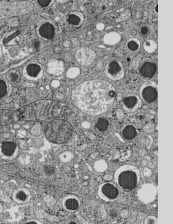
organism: C57BL Mouse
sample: Pancreatic islet